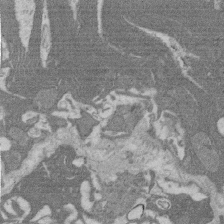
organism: Rat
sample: Salivary granule